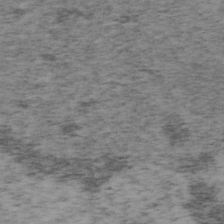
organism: Mouse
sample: OT-I killer T cells with ID8 ovarian cancer cells